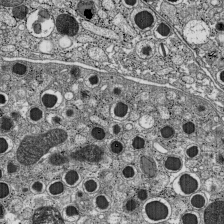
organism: C57BL Mouse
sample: Pancreatic islet